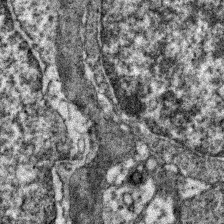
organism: Zebrafish